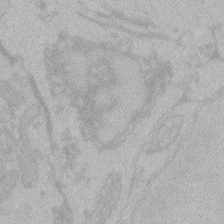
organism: Zebrafish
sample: Macrophage infected with Toxoplasma gondii